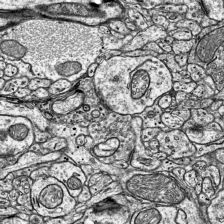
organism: Mouse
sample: Visual Cortex